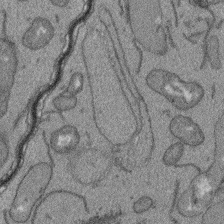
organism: Arabidopsis thaliana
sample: Root tip